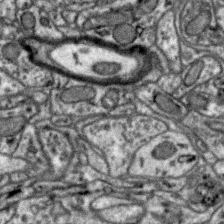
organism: Zebra finch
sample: Brain